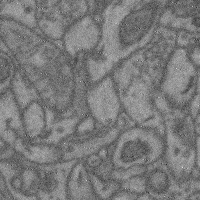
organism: Mouse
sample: Cerebral cortex